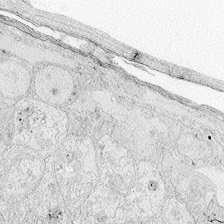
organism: Zebrafish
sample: Whole-Brain